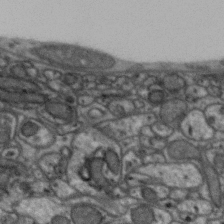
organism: Zebra finch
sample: Brain